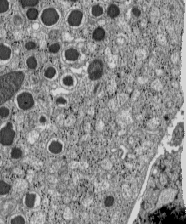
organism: C57BL Mouse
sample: Pancreatic islet